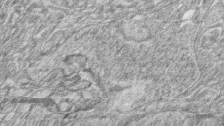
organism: Zebrafish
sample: synaptic ribbons in rod cells and cone cells